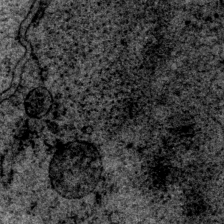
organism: P. pacificus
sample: Pharynx